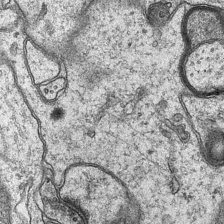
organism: Mouse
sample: CA1 Hippocampus